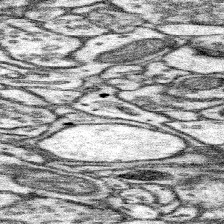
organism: Mouse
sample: Somatosensory cortex neuropil